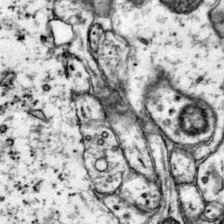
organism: Mouse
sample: Primary visual cortex